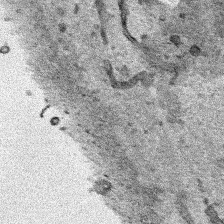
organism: Human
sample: Mitochondria in HCT116 cells